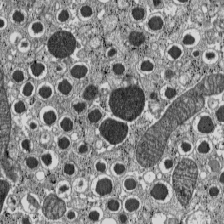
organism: C57BL Mouse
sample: Pancreatic islet